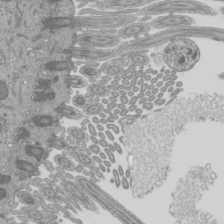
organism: Mouse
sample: Cilia; mouse epididymis